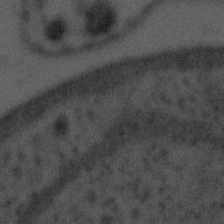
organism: Tuwongella immobilis